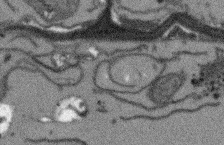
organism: Arabidopsis thaliana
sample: Root tip